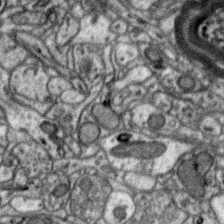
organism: Zebra finch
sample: Brain